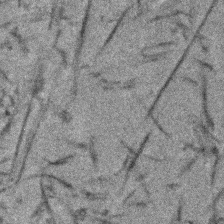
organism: Human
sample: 1205lu cells